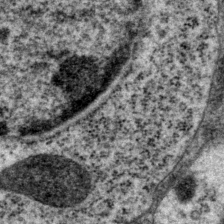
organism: P. pacificus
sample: Pharynx